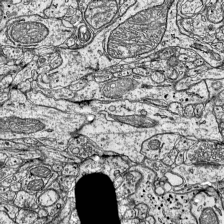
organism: Mouse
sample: Visual Cortex